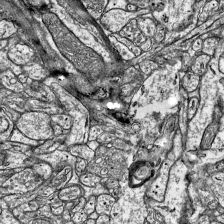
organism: Mouse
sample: Visual Cortex